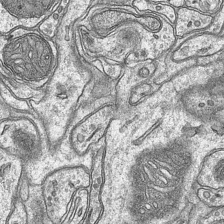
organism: Mouse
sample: CA1 Hippocampus